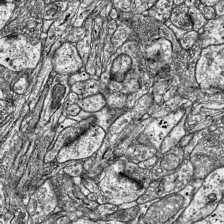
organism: Mouse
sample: Visual Cortex